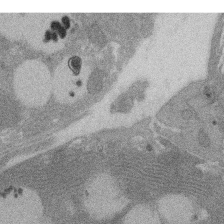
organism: Rat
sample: Salivary granule